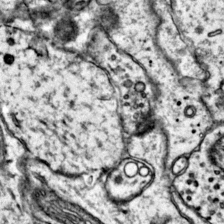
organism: Mouse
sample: Primary visual cortex